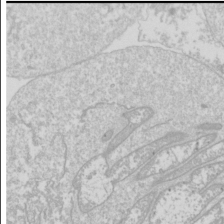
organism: Drosophila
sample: Cell division; meiosis; drosophila spermatocytes